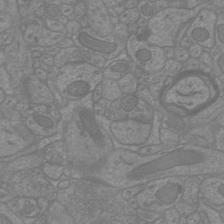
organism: Mouse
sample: Cortical neurons